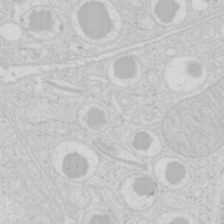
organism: Mouse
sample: Pancreas